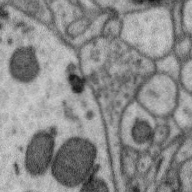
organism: Zebra finch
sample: Brain